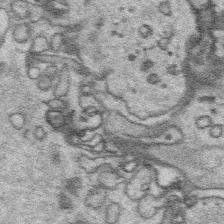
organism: Platynereis dumerilii